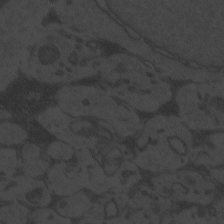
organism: Zebrafish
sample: Macrophage infected with Toxoplasma gondii